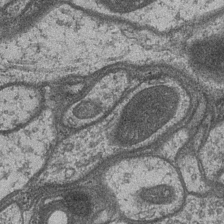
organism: Drosophila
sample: Optic medulla